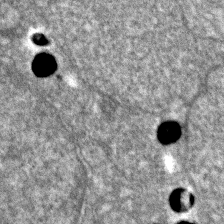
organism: Zebrafish